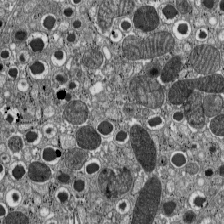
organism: C57BL Mouse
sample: Pancreatic islet